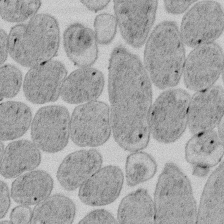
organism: E. coli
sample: Bacterial nucleoid